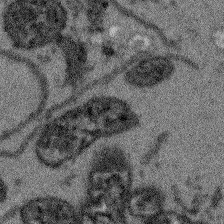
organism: Arabidopsis thaliana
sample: Root tip